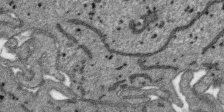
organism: Human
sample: Lung epithelial cells, uninfected (mock) control